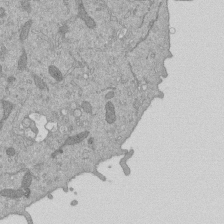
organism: Mouse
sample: ED-1 cell nuclei; centrioles